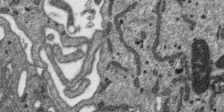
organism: Human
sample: Lung epithelial cells infected with SARS-CoV-2